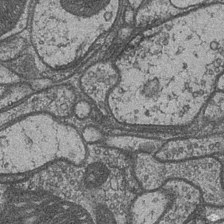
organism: Drosophila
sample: Optic medulla